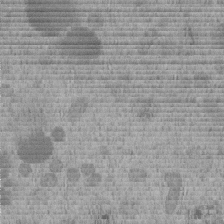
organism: C. elegans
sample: C. elegans embryo early stage